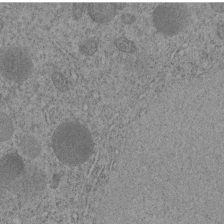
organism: C. elegans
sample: C. elegans embryo early stage